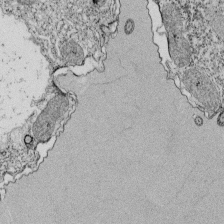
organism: Tetrahymena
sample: Cilia in tetrahymena